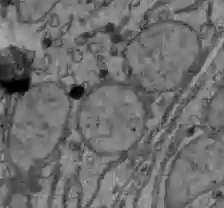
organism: C57BL Mouse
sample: Liver